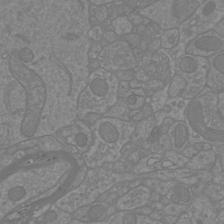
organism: Mouse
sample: Cortical neurons